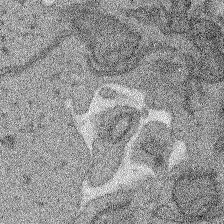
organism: Human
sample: HeLa cells